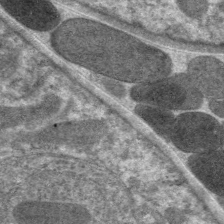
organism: C. elegans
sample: Pharynx